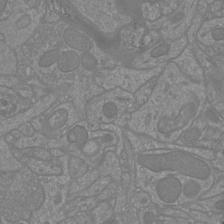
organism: Mouse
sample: Cortical neurons